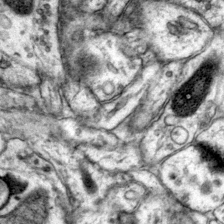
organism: Mouse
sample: Primary visual cortex